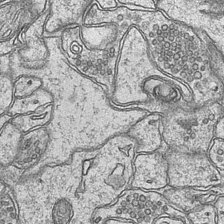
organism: Mouse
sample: CA1 Hippocampus